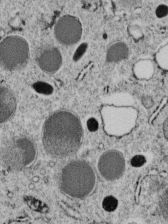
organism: C. elegans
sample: C. elegans embryo early stage